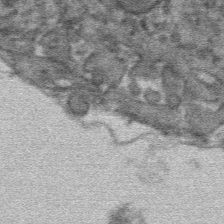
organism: Mouse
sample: Mouse hepatocytes